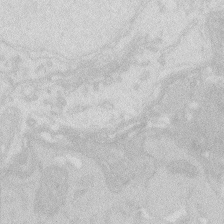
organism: Zebrafish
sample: Macrophage